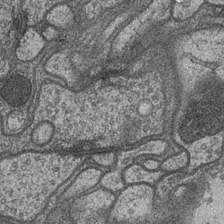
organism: Drosophila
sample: Optic medulla